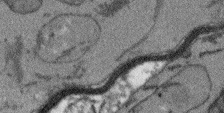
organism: Arabidopsis thaliana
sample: Root tip